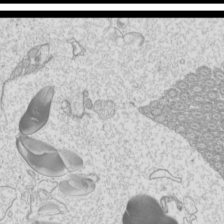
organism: Mouse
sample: Cilia; mouse epididymis